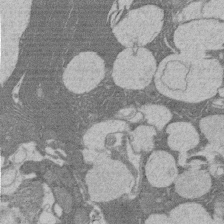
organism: Rat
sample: Salivary granule